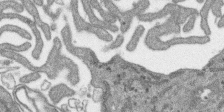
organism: Human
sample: Lung epithelial cells infected with SARS-CoV-2